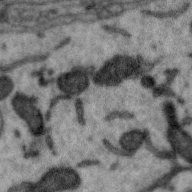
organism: Zebra finch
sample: Brain